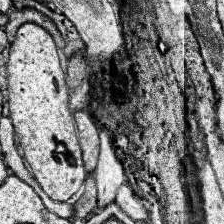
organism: Human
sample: Temporal Lobe